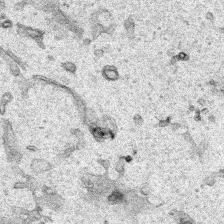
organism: Human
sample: Mitochondria in HCT116 cells